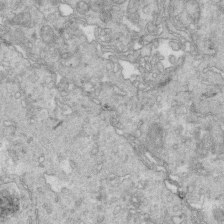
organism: Mouse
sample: Multiciliated cells